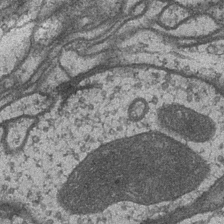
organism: Drosophila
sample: Optic medulla